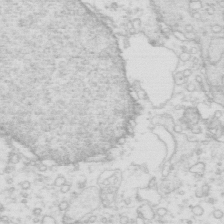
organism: Mouse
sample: Multiciliated cells